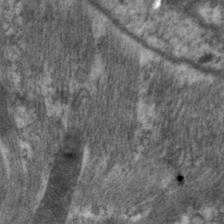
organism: C. elegans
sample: Pharynx